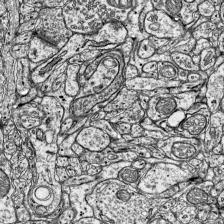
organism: Mouse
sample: Visual Cortex